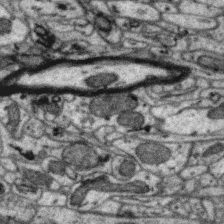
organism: Zebra finch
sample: Brain